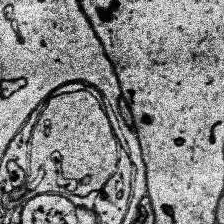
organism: Human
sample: Temporal Lobe